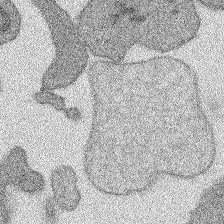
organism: Human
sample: HeLa cells